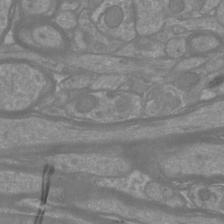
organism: Mouse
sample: Cortical neurons